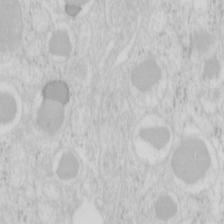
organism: Mouse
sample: Pancreas